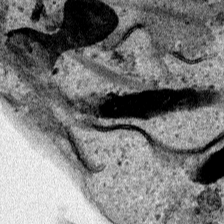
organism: Human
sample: Mitochondria in HCT116 cells